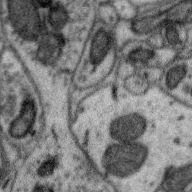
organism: Zebra finch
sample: Brain